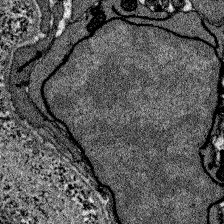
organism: Zebrafish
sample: Larval olfactory bulb